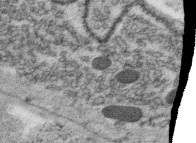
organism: C. elegans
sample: C. elegans oocyte; sperm cells